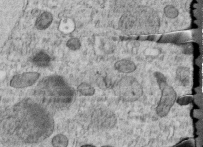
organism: C. elegans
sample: C. elegans embryo early stage